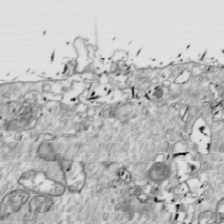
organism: Drosophila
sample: Cell division; meiosis; drosophila spermatocytes